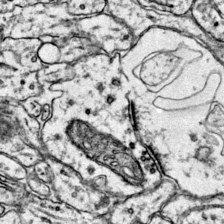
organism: Mouse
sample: Primary visual cortex